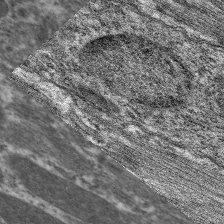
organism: C. elegans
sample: Pharynx